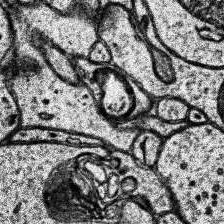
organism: Human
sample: Temporal Lobe